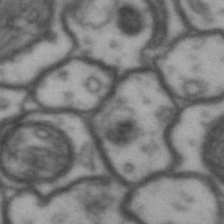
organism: Drosophila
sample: Brain